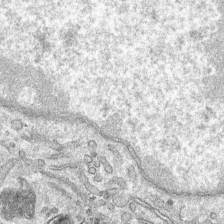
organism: Mouse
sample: Mouse hepatocytes